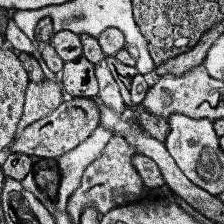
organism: Human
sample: Temporal Lobe